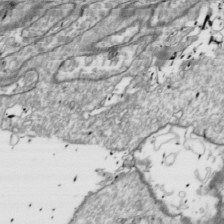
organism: Drosophila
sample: Cell division; meiosis; drosophila spermatocytes